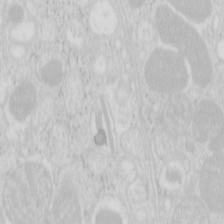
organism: Mouse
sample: Pancreas